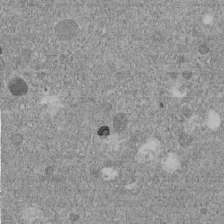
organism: C. elegans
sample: C. elegans embryo early stage